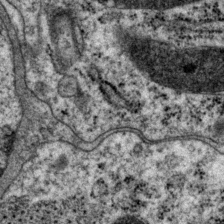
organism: P. pacificus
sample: Pharynx